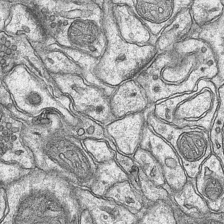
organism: Mouse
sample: CA1 Hippocampus